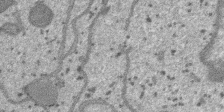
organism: Human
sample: Lung epithelial cells infected with SARS-CoV-2